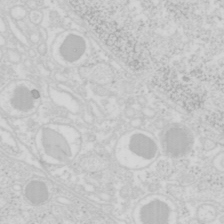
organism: Mouse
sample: Pancreas